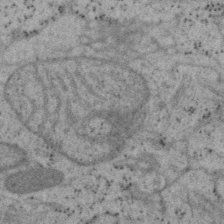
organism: Human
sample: HeLa cells